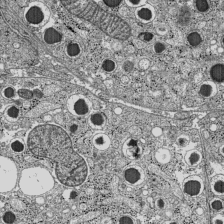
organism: C57BL Mouse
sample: Pancreatic islet